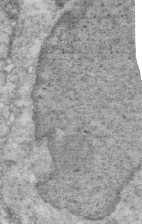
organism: Mouse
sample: Multiciliated cells